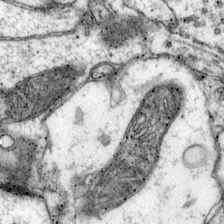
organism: Mouse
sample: Primary visual cortex